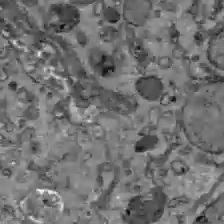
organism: C57BL Mouse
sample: Liver